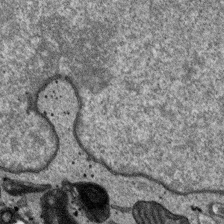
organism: Human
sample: Lung epithelial cells, uninfected (mock) control